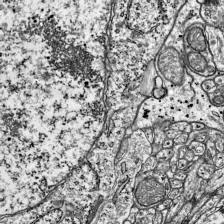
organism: Mouse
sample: Visual Cortex